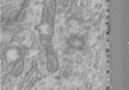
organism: Human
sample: Centriole in RPE cells